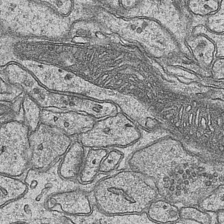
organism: Mouse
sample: CA1 Hippocampus